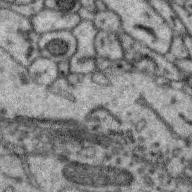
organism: Zebra finch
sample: Brain